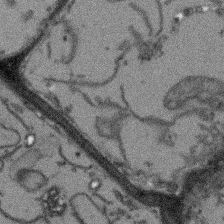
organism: Arabidopsis thaliana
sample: Root tip